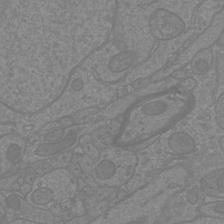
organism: Mouse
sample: Cortical neurons